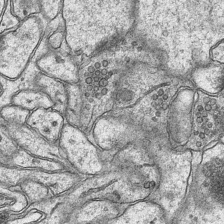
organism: Mouse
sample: CA1 Hippocampus